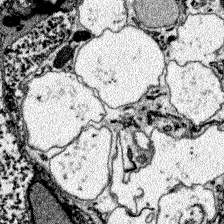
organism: Zebrafish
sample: Larval olfactory bulb